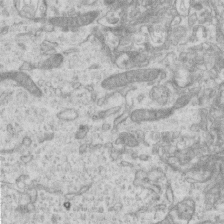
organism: Mouse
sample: Centriole in ependymal cells